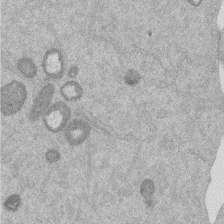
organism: Mouse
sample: Dividing mouse embryo 1 cell stage